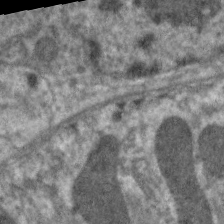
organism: C. elegans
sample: Pharynx